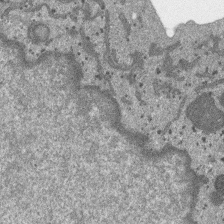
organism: Human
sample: Lung epithelial cells infected with SARS-CoV-2